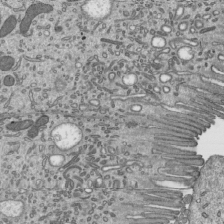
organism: Mouse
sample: Mouse epididymis efferent ductule cilia